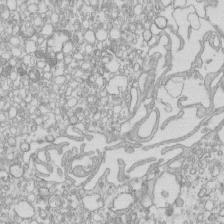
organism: Mouse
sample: Macrophages